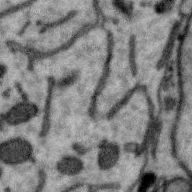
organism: Zebra finch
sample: Brain